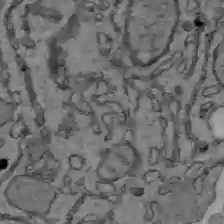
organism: C57BL Mouse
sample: Liver